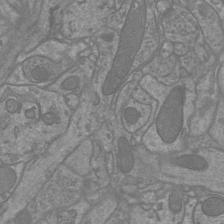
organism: Mouse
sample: Cortical neurons